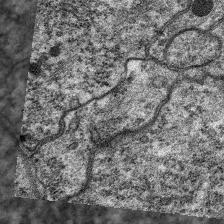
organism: C. elegans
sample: Pharynx